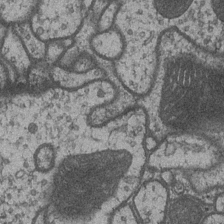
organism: Drosophila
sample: Optic medulla